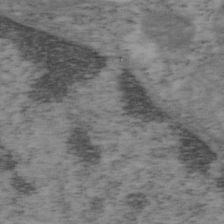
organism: Mouse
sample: OT-I killer T cells with ID8 ovarian cancer cells